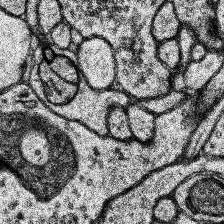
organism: Human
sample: Temporal Lobe